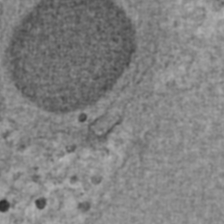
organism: Human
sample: Blood